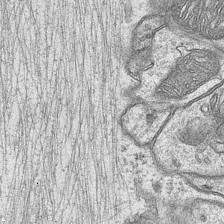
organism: Mouse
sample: CA1 Hippocampus